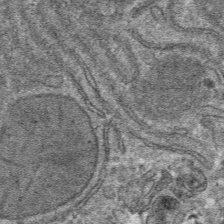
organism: Mouse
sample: Mouse hepatocytes